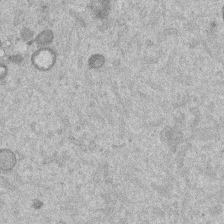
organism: Mouse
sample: Dividing mouse embryo 1 cell stage